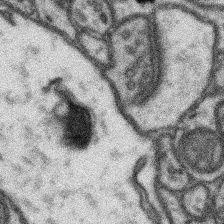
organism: Mouse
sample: Somatosensory cortex neuropil